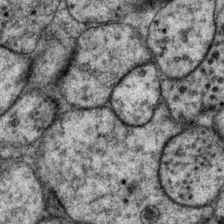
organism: P. pacificus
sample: Pharynx